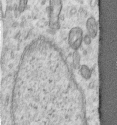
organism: Human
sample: Centriole in RPE cells